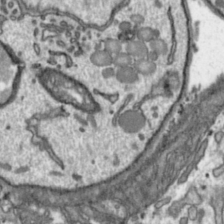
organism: Toxoplasma gondii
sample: Parasites in a vacuole inside a host cell